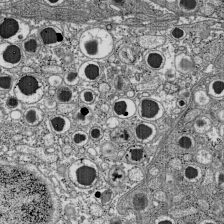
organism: C57BL Mouse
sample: Pancreatic islet